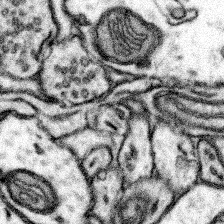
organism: Mouse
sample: Somatosensory cortex neuropil